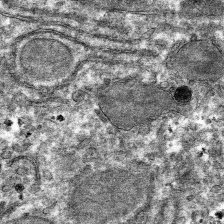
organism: Mouse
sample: Mouse hepatocytes